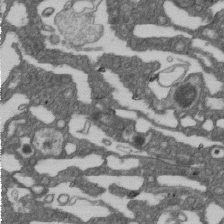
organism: Drosophila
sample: Nephrocyte